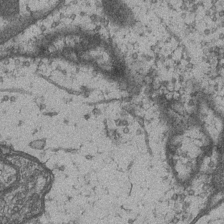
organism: Drosophila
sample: Optic medulla